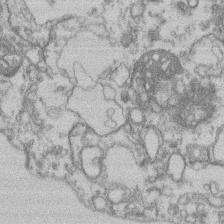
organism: Mouse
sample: T cell stromal cell synapse